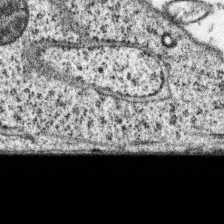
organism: Human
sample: HeLa cells